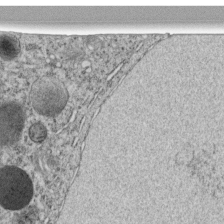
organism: C. elegans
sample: C. elegans embryo early stage